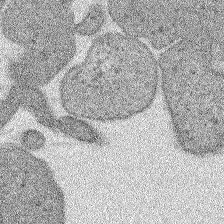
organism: Human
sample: HeLa cells